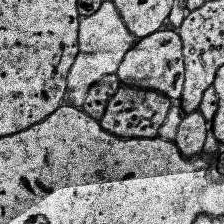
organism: Human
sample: Temporal Lobe